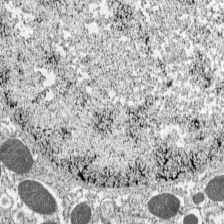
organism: C57BL Mouse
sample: Pancreatic islet